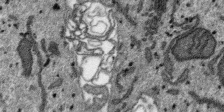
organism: Human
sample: Lung epithelial cells, uninfected (mock) control